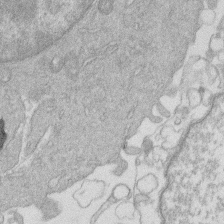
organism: Human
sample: Macrophage cells